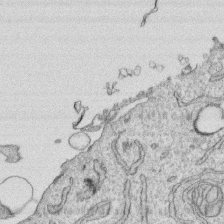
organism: Human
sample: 1205lu cells